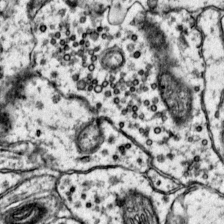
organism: Mouse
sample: Primary visual cortex